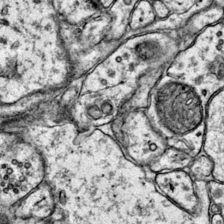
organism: Mouse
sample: Primary visual cortex